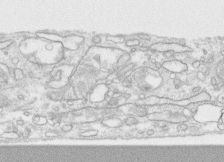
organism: Human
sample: CRL-1474